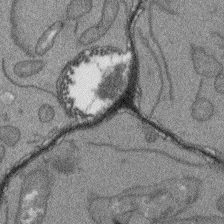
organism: Arabidopsis thaliana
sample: Root tip